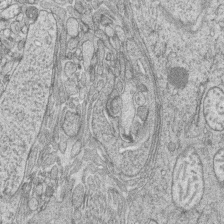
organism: Zebrafish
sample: synaptic ribbons in rod cells and cone cells